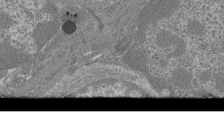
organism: Mouse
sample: Glomerulus